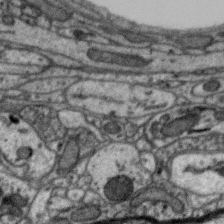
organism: Zebra finch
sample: Brain